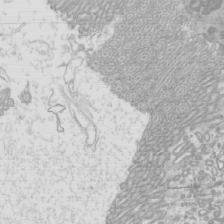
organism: Mouse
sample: Cilia; mouse epididymis